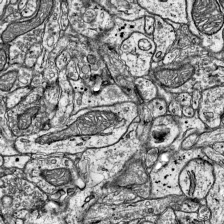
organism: Mouse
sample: Visual Cortex